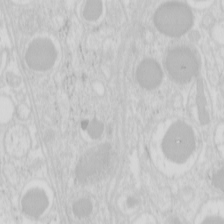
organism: Mouse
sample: Pancreas